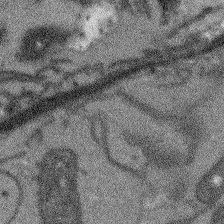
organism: Arabidopsis thaliana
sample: Root tip